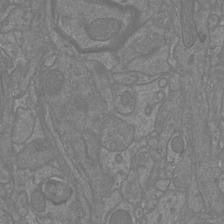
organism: Mouse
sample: Cortical neurons